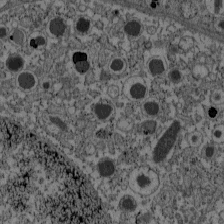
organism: C57BL Mouse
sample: Pancreatic islet